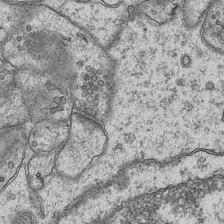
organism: Mouse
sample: CA1 Hippocampus